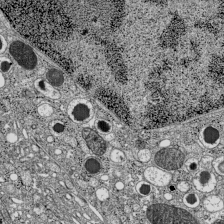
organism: C57BL Mouse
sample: Pancreatic islet